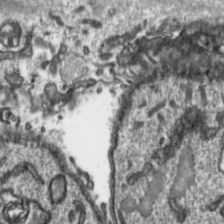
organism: Toxoplasma gondii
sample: Parasites in a vacuole inside a host cell